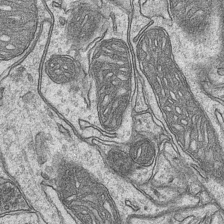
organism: Mouse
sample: CA1 Hippocampus